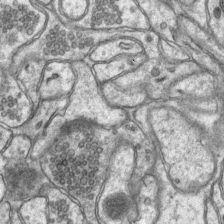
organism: Mouse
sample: CA1 Hippocampus